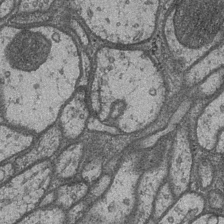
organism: Drosophila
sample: Optic medulla